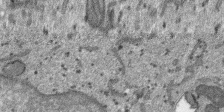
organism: Human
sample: Lung epithelial cells infected with SARS-CoV-2